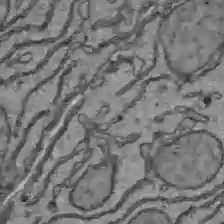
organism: C57BL Mouse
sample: Liver